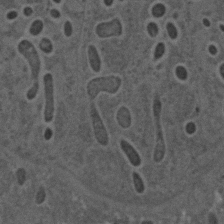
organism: C. elegans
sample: C. elegans embryo